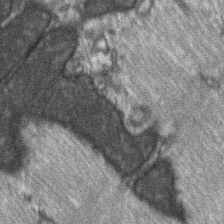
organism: C57BL Mouse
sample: Soleus